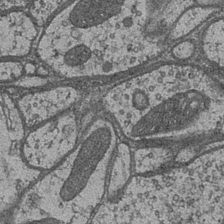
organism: Drosophila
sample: Optic medulla